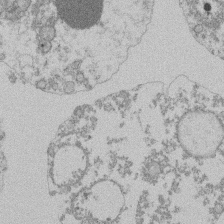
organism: Mouse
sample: Activated Pmel transgenic CD8+ T Cells